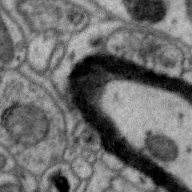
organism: Zebra finch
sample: Brain